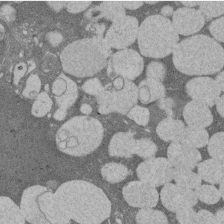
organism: Rat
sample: Salivary granule